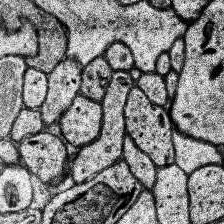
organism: Human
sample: Temporal Lobe